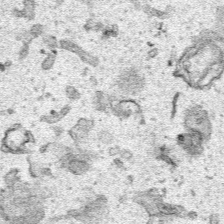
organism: Human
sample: Mitochondria in HCT116 cells